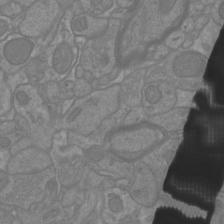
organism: Mouse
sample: Cortical neurons